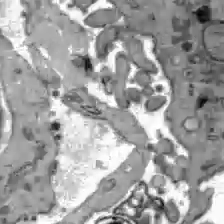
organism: C57BL Mouse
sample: Liver